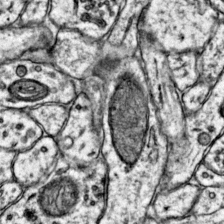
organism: Mouse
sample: Primary visual cortex